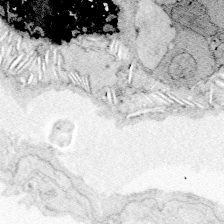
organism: Zebrafish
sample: Whole-Brain